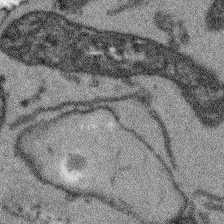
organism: Arabidopsis thaliana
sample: Root tip